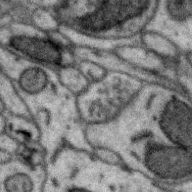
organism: Zebra finch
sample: Brain